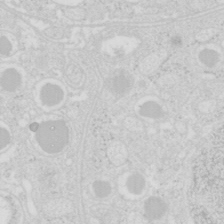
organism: Mouse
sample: Pancreas